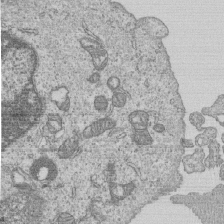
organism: Human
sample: MDA-MB-231 cells